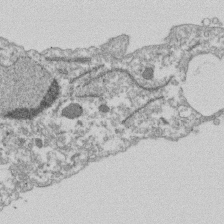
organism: Dictyostelium discoideum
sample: Dictyostelium multivesicular bodies